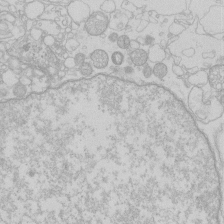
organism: Human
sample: Macrophage cells